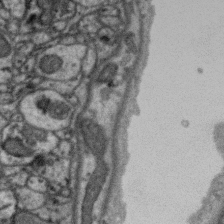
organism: Zebra finch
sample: Brain